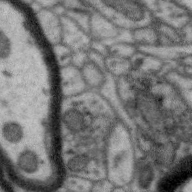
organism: Zebra finch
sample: Brain